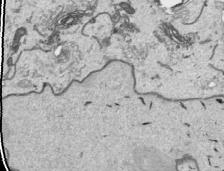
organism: Human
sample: Mitochondria in HCT116 cells